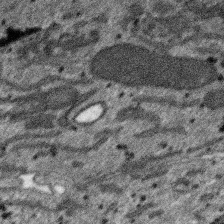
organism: Human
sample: Lung epithelial cells infected with SARS-CoV-2